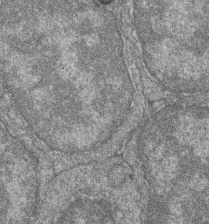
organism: Zebrafish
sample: Cilia; retinal pigment epithelium